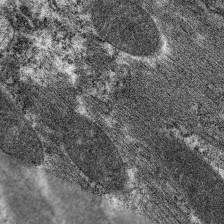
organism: C. elegans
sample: Pharynx